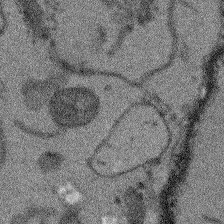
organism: Arabidopsis thaliana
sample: Root tip